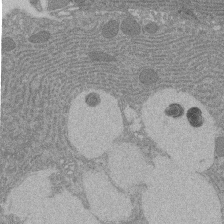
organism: Rat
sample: Salivary granule